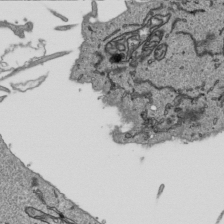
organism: Human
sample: Mitochondria in HCT116 cells